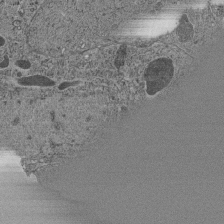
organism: C. elegans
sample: C. elegans pharynx